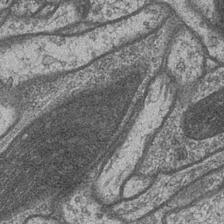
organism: Drosophila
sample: Optic medulla